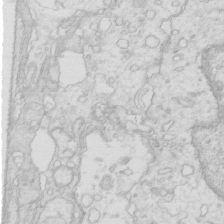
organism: Mouse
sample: Multiciliated cells